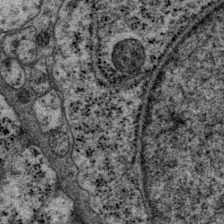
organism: P. pacificus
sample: Pharynx